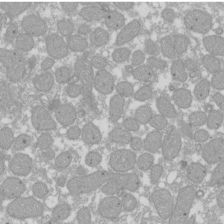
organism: Xenopus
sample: Cilia; centrioles in frog embryo cells